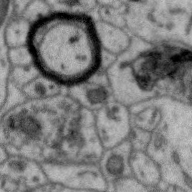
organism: Zebra finch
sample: Brain